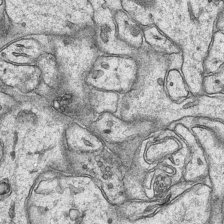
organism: Mouse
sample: CA1 Hippocampus